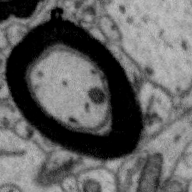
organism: Zebra finch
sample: Brain